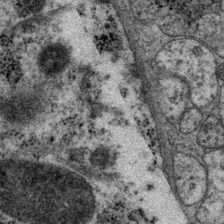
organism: P. pacificus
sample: Pharynx